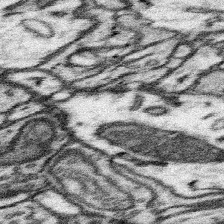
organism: Mouse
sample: Somatosensory cortex neuropil